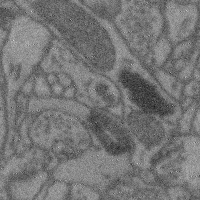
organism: Mouse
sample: Cerebral cortex